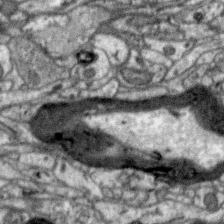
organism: Zebra finch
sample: Brain